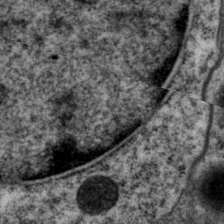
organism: P. pacificus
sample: Pharynx